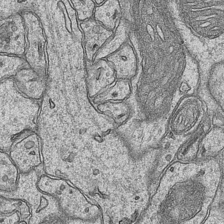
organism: Mouse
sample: CA1 Hippocampus